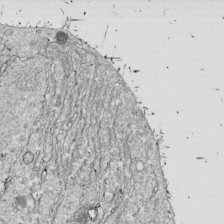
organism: Drosophila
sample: Cell division; meiosis; drosophila spermatocytes